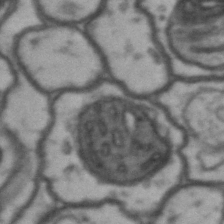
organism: Drosophila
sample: Brain